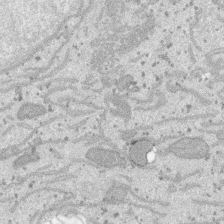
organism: Human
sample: Lung epithelial cells infected with SARS-CoV-2